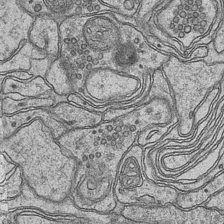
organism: Mouse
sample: CA1 Hippocampus